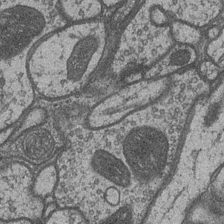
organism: Drosophila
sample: Optic medulla